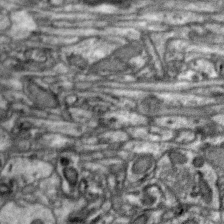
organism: Zebra finch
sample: Brain